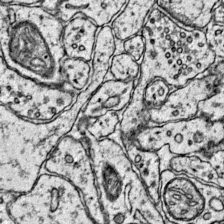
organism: Mouse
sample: Primary visual cortex